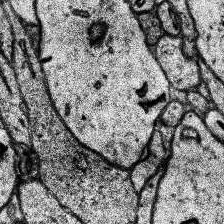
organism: Human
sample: Temporal Lobe